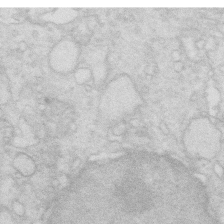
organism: Mouse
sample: Multiciliated cells